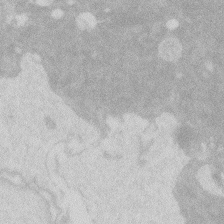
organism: Zebrafish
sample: Macrophage